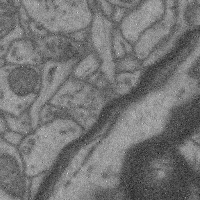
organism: Mouse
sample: Cerebral cortex